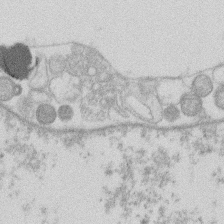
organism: Human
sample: Macrophage cells